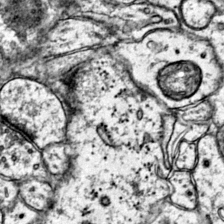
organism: Mouse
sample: Primary visual cortex